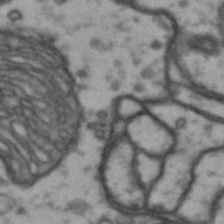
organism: Drosophila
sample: Brain